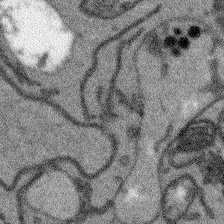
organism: Arabidopsis thaliana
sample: Root tip